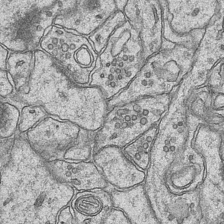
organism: Mouse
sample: CA1 Hippocampus